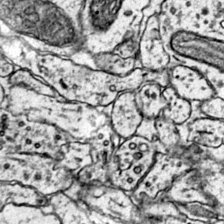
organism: Mouse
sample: Primary visual cortex